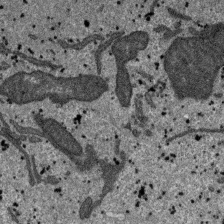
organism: Human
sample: Lung epithelial cells, uninfected (mock) control